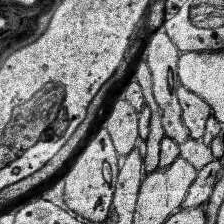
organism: Human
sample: Temporal Lobe